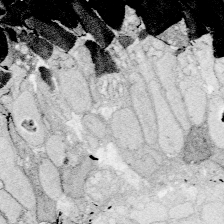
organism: Zebrafish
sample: Whole-Brain